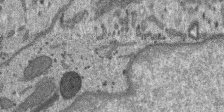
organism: Human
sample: Lung epithelial cells infected with SARS-CoV-2